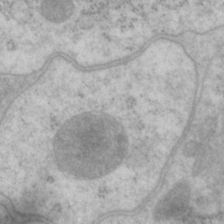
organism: P. pacificus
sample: Pharynx